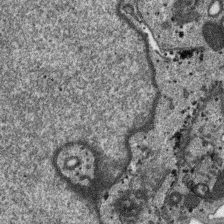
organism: Human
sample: Lung epithelial cells infected with SARS-CoV-2